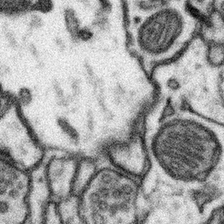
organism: Mouse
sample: Somatosensory cortex neuropil